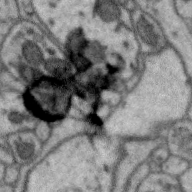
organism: Zebra finch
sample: Brain